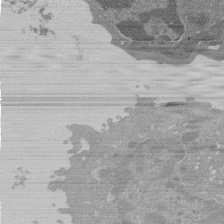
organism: Mouse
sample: Activated Pmel transgenic CD8+ T Cells